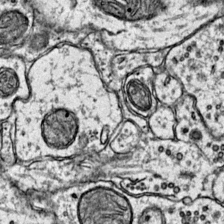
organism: Mouse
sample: Primary visual cortex